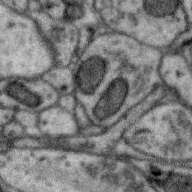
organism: Zebra finch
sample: Brain